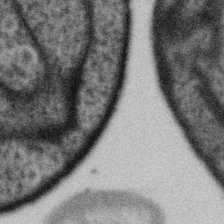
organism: Gemmata obscuriglobus